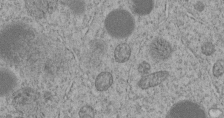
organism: C. elegans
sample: C. elegans embryo early stage